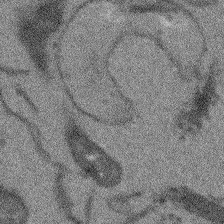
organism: Arabidopsis thaliana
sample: Root tip